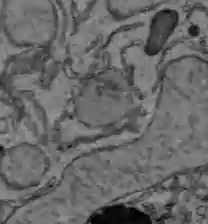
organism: C57BL Mouse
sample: Liver